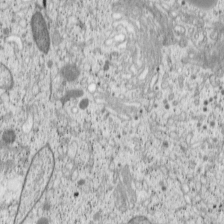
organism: African green monkey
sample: COS-7 cells